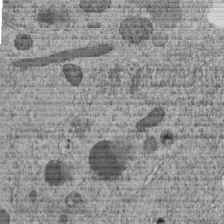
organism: C. elegans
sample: C. elegans embryo early stage